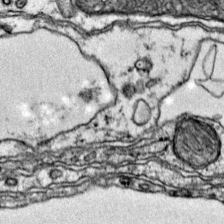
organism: Mouse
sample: Primary visual cortex